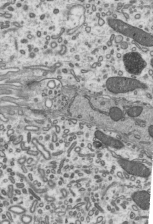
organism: Mouse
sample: Mouse epididymis efferent ductule cilia